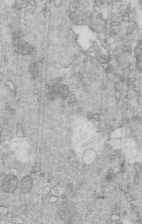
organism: Mouse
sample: Multiciliated cells